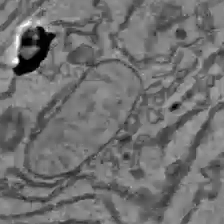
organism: C57BL Mouse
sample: Liver